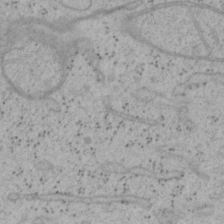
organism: Human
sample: HeLa cells